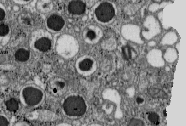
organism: C57BL Mouse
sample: Pancreatic islet